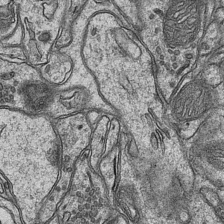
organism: Mouse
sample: CA1 Hippocampus